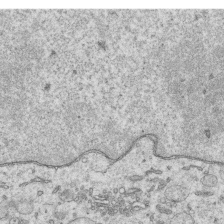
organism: Human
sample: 1205lu cells